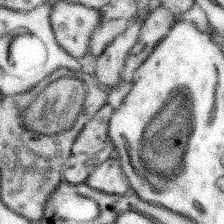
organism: Mouse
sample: Somatosensory cortex neuropil